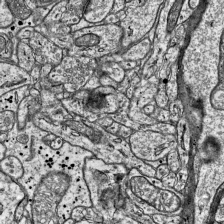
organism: Mouse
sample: Visual Cortex